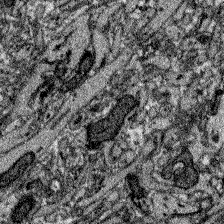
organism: Zebrafish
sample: Larval olfactory bulb